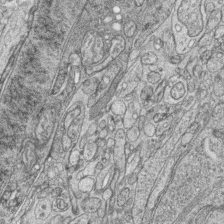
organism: Zebrafish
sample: synaptic ribbons in rod cells and cone cells